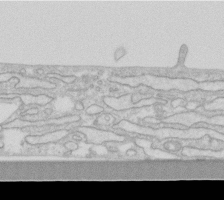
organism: Human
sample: Fibroblast cells